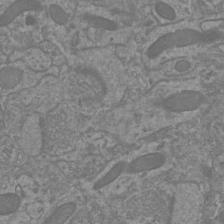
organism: Mouse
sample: Cortical neurons